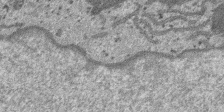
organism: Human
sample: Lung epithelial cells infected with SARS-CoV-2